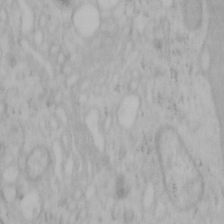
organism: Mouse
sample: OT-I killer T cells with ID8 ovarian cancer cells